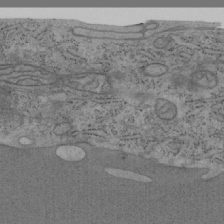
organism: Human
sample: HeLa cells